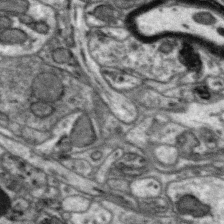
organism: Zebra finch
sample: Brain